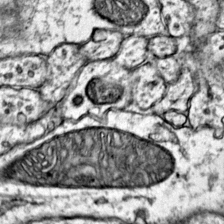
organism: Mouse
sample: Primary visual cortex